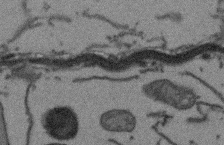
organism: Arabidopsis thaliana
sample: Root tip